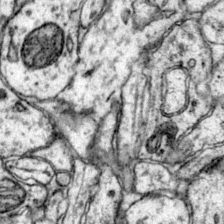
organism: Mouse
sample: Primary visual cortex